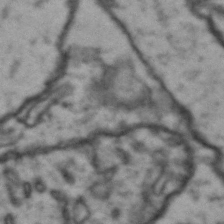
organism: Drosophila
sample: Brain